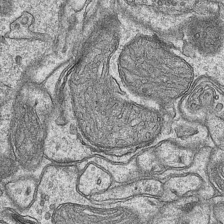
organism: Mouse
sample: CA1 Hippocampus